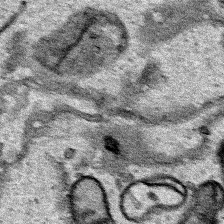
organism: Human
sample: Mitochondria in HCT116 cells